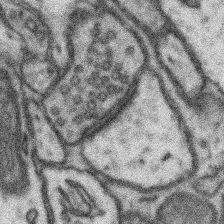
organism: Mouse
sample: Somatosensory cortex neuropil